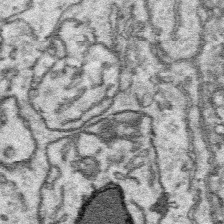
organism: Platynereis dumerilii